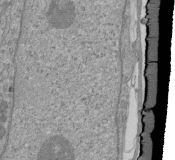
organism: Mouse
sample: ED-1 cell nuclei; centrioles